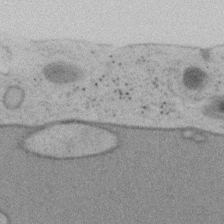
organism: Human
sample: HeLa cells